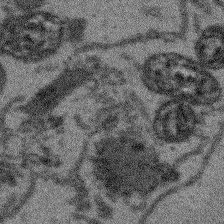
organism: Arabidopsis thaliana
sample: Root tip